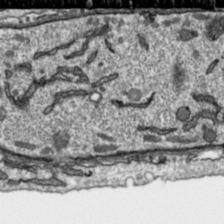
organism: Toxoplasma gondii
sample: Parasites in a vacuole inside a host cell